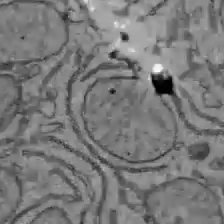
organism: C57BL Mouse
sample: Liver